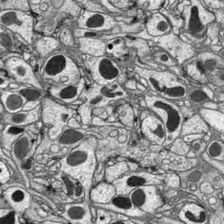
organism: Drosophila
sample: Optic lobe